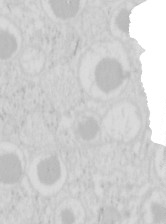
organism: Mouse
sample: Pancreas